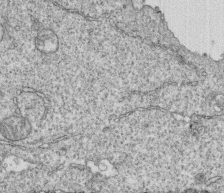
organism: Human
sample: HeLa cell HIV synapse